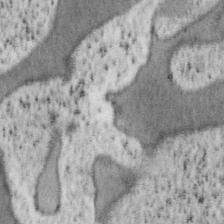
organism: Mouse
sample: OT-I killer T cells with ID8 ovarian cancer cells